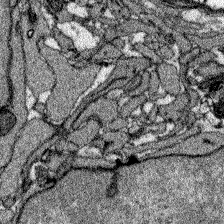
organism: Zebrafish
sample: Larval olfactory bulb